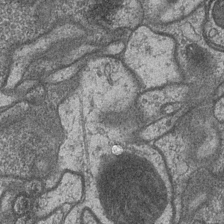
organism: Drosophila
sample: Optic medulla